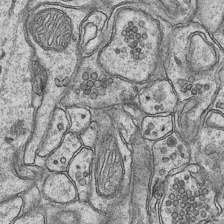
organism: Mouse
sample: CA1 Hippocampus